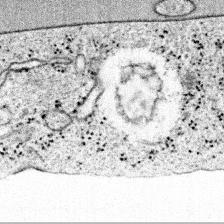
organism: Human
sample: HeLa cells